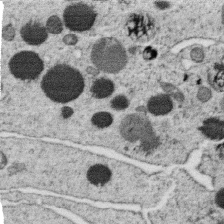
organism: C. elegans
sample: C. elegans oocyte; sperm cells